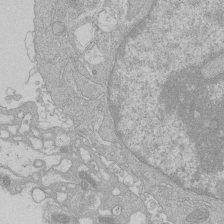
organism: Human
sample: Macrophage cells